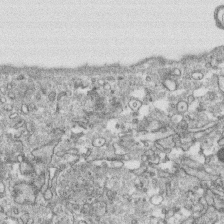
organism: Human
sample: CRL-1474